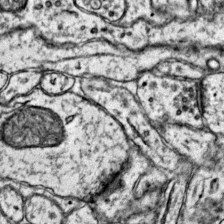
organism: Mouse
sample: Primary visual cortex